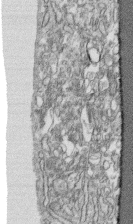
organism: Human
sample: CRL-1474